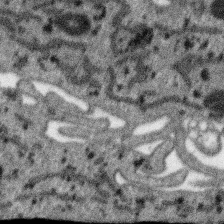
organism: Human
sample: Lung epithelial cells infected with SARS-CoV-2